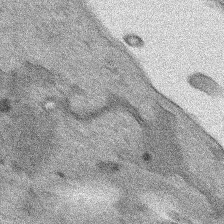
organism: Human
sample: Mitochondria in HCT116 cells